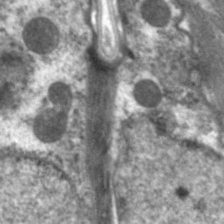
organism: C. elegans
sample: Pharynx